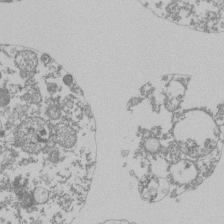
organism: Mouse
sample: Activated Pmel transgenic CD8+ T Cells